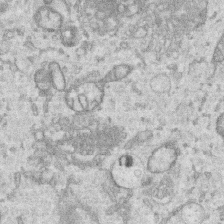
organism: Human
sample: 1205lu cells